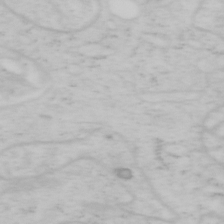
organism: Mouse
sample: OT-I killer T cells with ID8 ovarian cancer cells